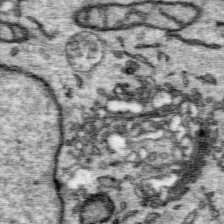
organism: Human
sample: HeLa cells